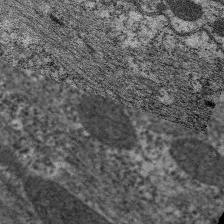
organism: C. elegans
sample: Pharynx